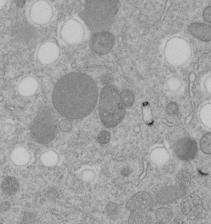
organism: C. elegans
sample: C. elegans embryo early stage